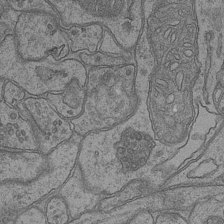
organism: Mouse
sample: CA1 Hippocampus